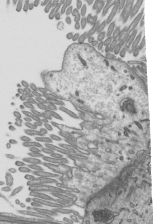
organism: Mouse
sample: Mouse epididymis efferent ductule cilia